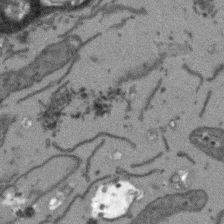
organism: Arabidopsis thaliana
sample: Root tip